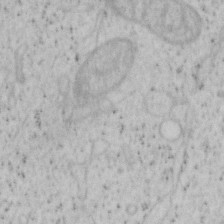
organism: Human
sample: HeLa cells